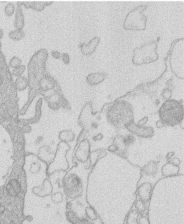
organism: Human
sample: Macrophage cells